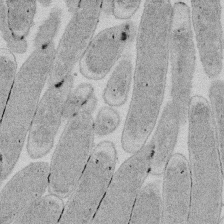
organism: E. coli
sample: Bacterial nucleoid